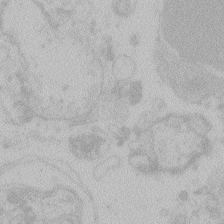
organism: Zebrafish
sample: Macrophage infected with Toxoplasma gondii